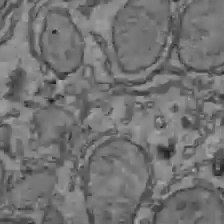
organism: C57BL Mouse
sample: Liver